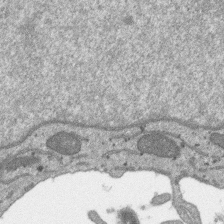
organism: Human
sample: Lung epithelial cells infected with SARS-CoV-2